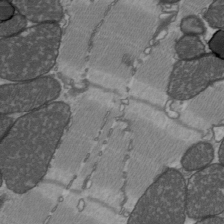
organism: C57BL Mouse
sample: Heart